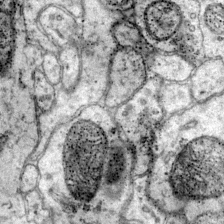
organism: Mouse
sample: Primary visual cortex